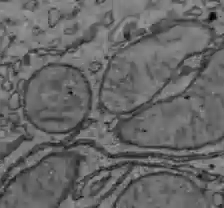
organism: C57BL Mouse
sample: Liver